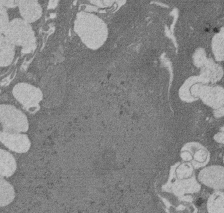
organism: Rat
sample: Salivary granule